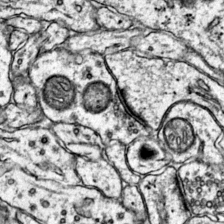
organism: Mouse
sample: Primary visual cortex